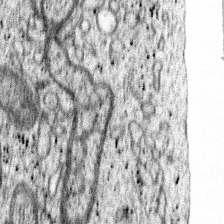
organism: Human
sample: HeLa cells